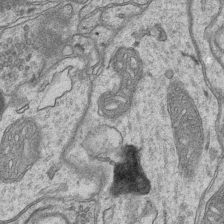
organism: Mouse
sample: CA1 Hippocampus